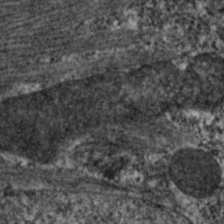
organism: C. elegans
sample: Pharynx